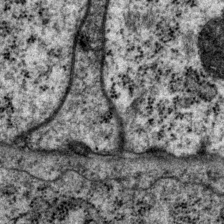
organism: P. pacificus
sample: Pharynx